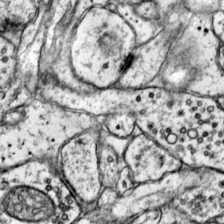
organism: Mouse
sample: Primary visual cortex